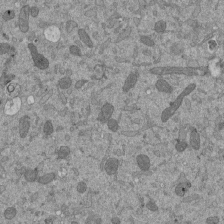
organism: Mouse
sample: ED-1 cell nuclei; centrioles